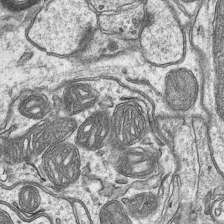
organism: Mouse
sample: CA1 Hippocampus